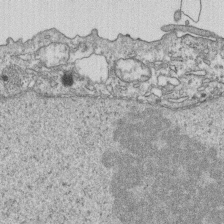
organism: Human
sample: HeLa cell HIV synapse